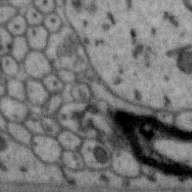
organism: Zebra finch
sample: Brain